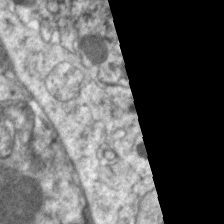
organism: C. elegans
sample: Pharynx